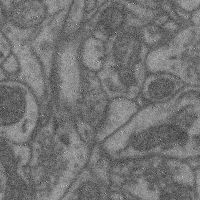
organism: Mouse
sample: Cerebral cortex